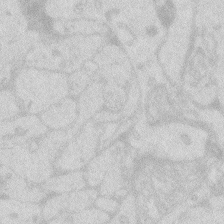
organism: Zebrafish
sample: Macrophage